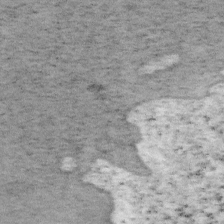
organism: Mouse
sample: OT-I killer T cells with ID8 ovarian cancer cells